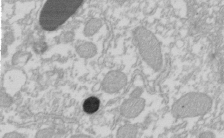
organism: Xenopus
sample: Cilia; centrioles in frog embryo cells